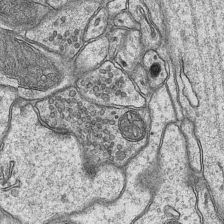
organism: Mouse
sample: CA1 Hippocampus